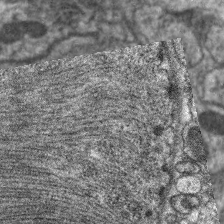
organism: C. elegans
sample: Pharynx